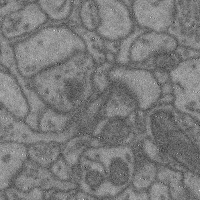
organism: Mouse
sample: Cerebral cortex